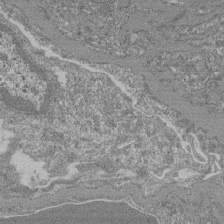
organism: Mouse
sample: Glomerulus